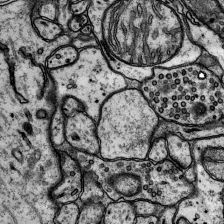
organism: Rat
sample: Hippocampus